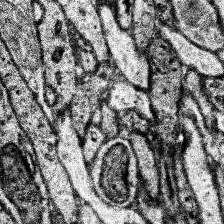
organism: Human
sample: Temporal Lobe